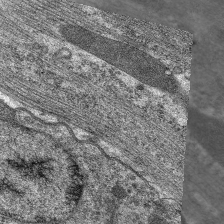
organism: C. elegans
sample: Pharynx